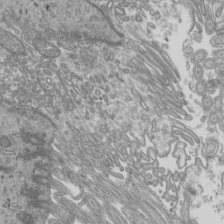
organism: Mouse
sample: Cilia; mouse epididymis